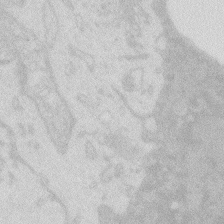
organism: Zebrafish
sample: Macrophage